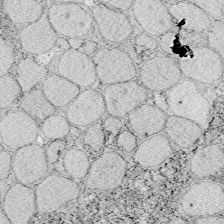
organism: Zebrafish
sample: Whole-Brain